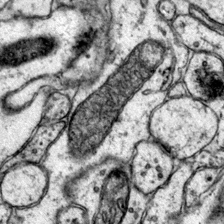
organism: Mouse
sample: Primary visual cortex